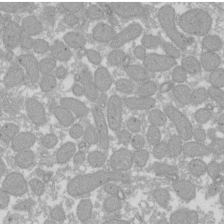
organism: Xenopus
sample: Cilia; centrioles in frog embryo cells